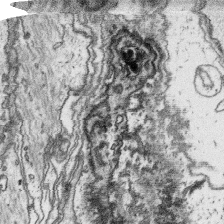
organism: Platynereis dumerilii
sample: Parapodia